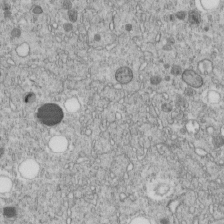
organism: C. elegans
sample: C. elegans embryo early stage